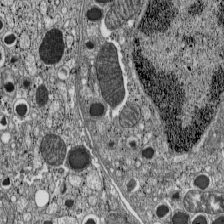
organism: C57BL Mouse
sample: Pancreatic islet